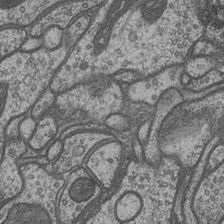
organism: Drosophila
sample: Optic medulla